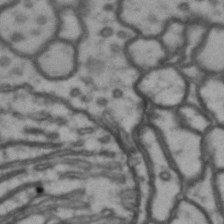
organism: Drosophila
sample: Brain